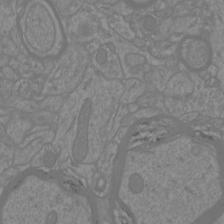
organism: Mouse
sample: Cortical neurons